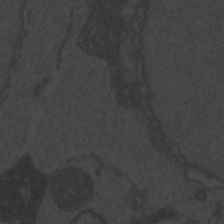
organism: Zebrafish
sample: Macrophage infected with Toxoplasma gondii